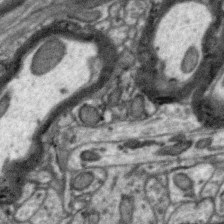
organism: Zebra finch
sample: Brain